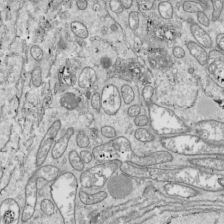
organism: Drosophila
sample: Cell division; meiosis; drosophila spermatocytes